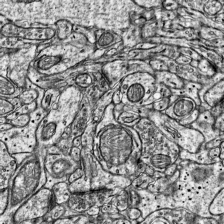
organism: Mouse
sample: Visual Cortex